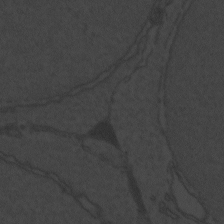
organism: Zebrafish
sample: Macrophage infected with Toxoplasma gondii